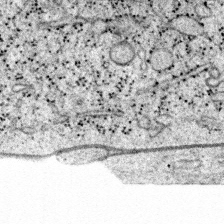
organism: Human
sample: HeLa cells